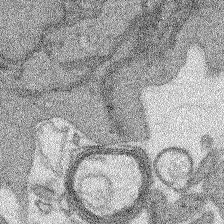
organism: Human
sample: HeLa cells